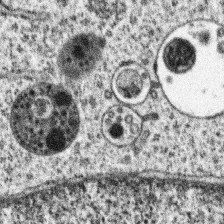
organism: Human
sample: HeLa cells